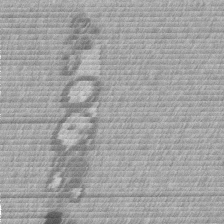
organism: Mouse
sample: Dividing mouse embryo 1 cell stage